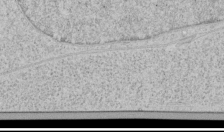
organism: Human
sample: Mitochondria in HCT116 cells